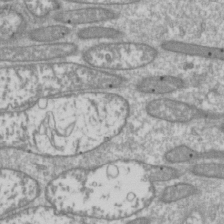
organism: Drosophila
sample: Cell division; meiosis; drosophila spermatocytes